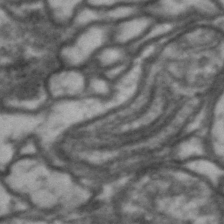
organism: Drosophila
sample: Brain